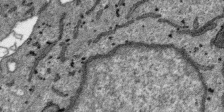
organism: Human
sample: Lung epithelial cells, uninfected (mock) control